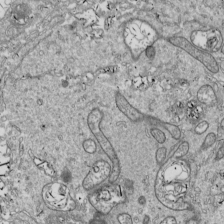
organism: Drosophila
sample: Cell division; meiosis; drosophila spermatocytes